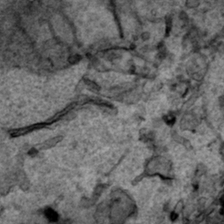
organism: Human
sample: Mitochondria in HCT116 cells